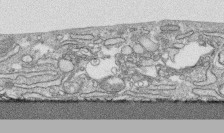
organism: Human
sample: CRL-1474